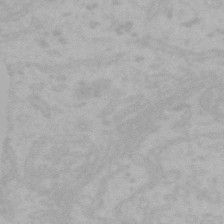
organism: Mouse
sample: Choroid plexus